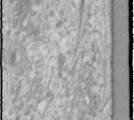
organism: Human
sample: Cilia; basal body in RPE cells